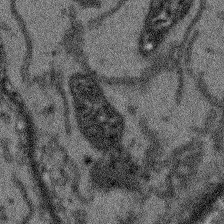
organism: Arabidopsis thaliana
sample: Root tip